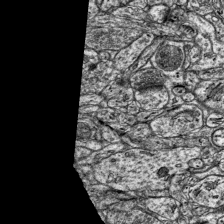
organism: Mouse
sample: Visual Cortex